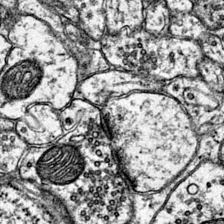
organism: Mouse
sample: Primary visual cortex